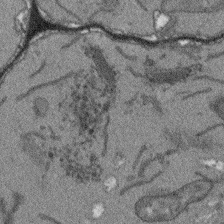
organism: Arabidopsis thaliana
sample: Root tip